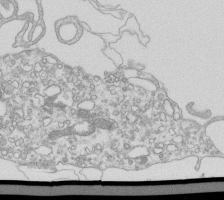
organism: Mouse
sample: Macrophages